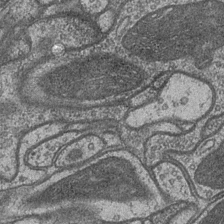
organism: Drosophila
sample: Optic medulla